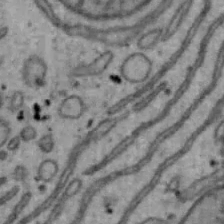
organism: Mouse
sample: Liver